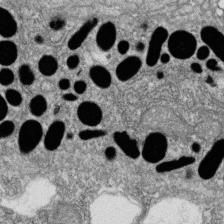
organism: Zebrafish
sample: Cilia; retinal pigment epithelium